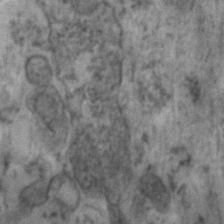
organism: Human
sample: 1205lu cells